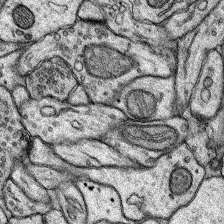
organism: Rat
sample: Hippocampus